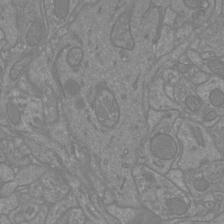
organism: Mouse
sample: Cortical neurons